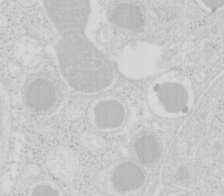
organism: Mouse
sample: Pancreas